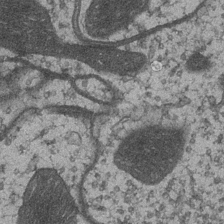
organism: Drosophila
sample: Optic medulla